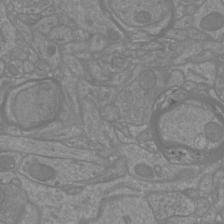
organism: Mouse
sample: Cortical neurons